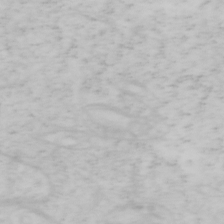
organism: Mouse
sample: OT-I killer T cells with ID8 ovarian cancer cells